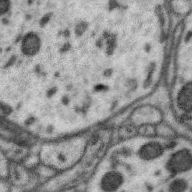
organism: Zebra finch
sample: Brain